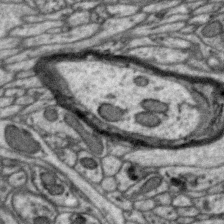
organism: Zebra finch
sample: Brain